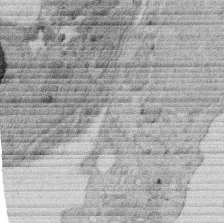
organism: Rat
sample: Salivary granule